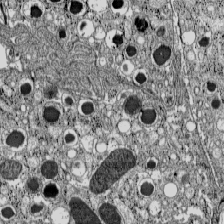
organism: C57BL Mouse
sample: Pancreatic islet